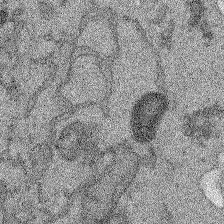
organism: Human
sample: HeLa cells